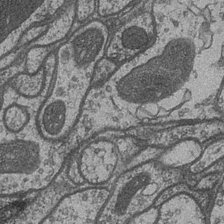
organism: Drosophila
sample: Optic medulla